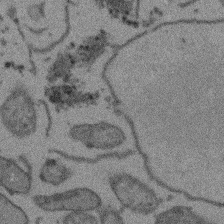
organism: Arabidopsis thaliana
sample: Root tip